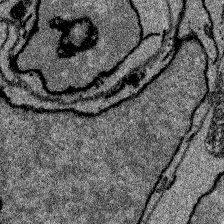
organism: Zebrafish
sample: Larval olfactory bulb